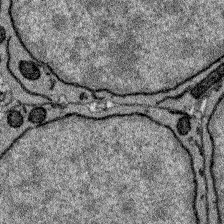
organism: Zebrafish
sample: Larval olfactory bulb